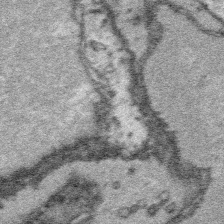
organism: Platynereis dumerilii